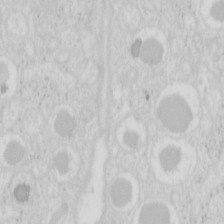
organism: Mouse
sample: Pancreas